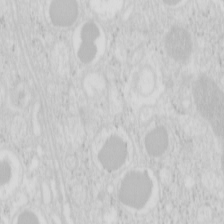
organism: Mouse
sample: Pancreas